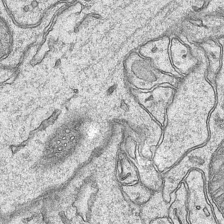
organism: Mouse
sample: CA1 Hippocampus